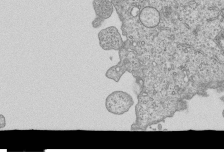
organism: Human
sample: MDA-MB-231 cells